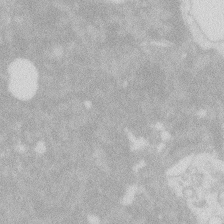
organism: Zebrafish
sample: Macrophage